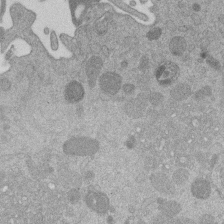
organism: Mouse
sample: Dividing mouse embryo 1 cell stage